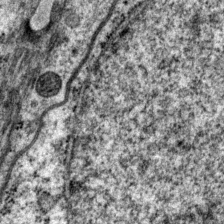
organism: P. pacificus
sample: Pharynx